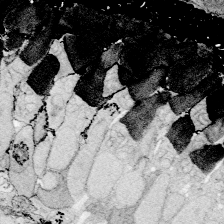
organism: Zebrafish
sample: Whole-Brain